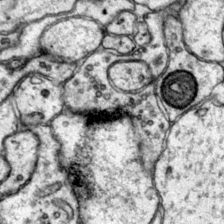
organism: Mouse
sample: Primary visual cortex